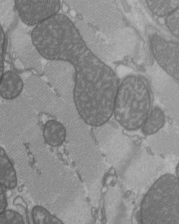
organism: C57BL Mouse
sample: Heart